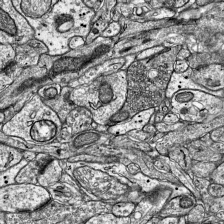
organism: Mouse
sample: Visual Cortex